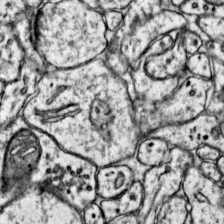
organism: Mouse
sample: Primary visual cortex